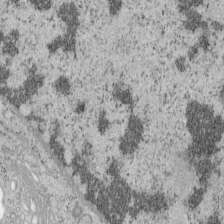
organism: Mouse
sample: OT-I killer T cells with ID8 ovarian cancer cells